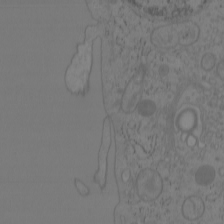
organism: Human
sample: HeLa cells